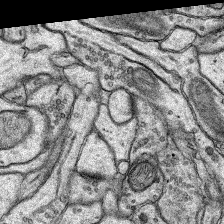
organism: Rat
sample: Hippocampus